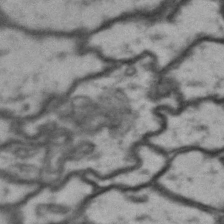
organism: Drosophila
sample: Brain